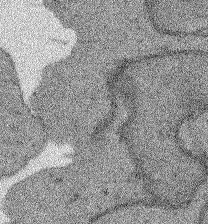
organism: Human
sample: HeLa cells